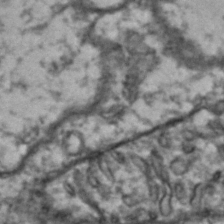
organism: Drosophila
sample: Brain